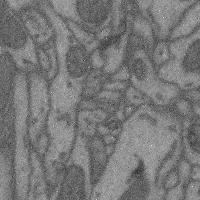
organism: Mouse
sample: Cerebral cortex